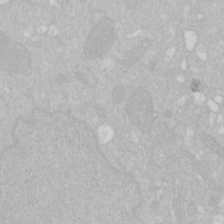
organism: Human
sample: HIV infected U937 cells